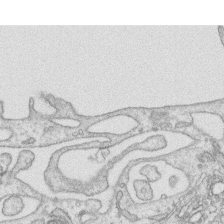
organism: Human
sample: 1205lu cells